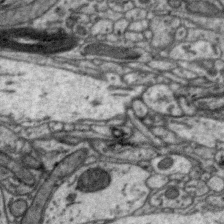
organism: Zebra finch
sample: Brain